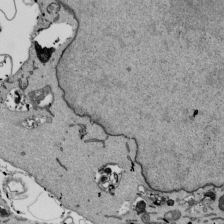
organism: Mouse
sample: ED-1 cell nuclei; centrioles